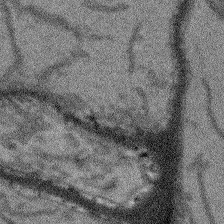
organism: Arabidopsis thaliana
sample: Root tip